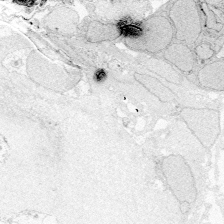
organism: Zebrafish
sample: Whole-Brain